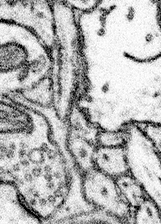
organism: Mouse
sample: Somatosensory cortex neuropil